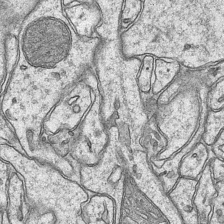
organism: Mouse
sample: CA1 Hippocampus